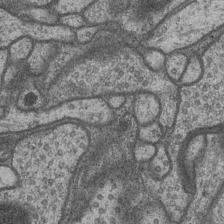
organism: Drosophila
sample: Optic medulla